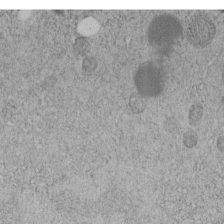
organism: C. elegans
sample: C. elegans embryo early stage